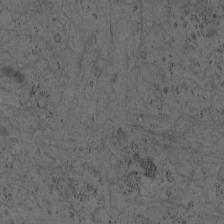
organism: Mouse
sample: OT-I killer T cells with ID8 ovarian cancer cells